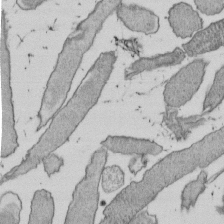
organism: E. coli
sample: Bacterial nucleoid